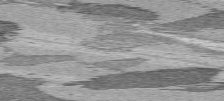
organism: C57BL Mouse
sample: Heart